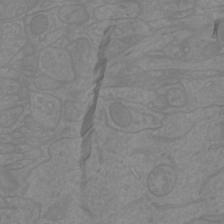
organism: Mouse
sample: Cortical neurons